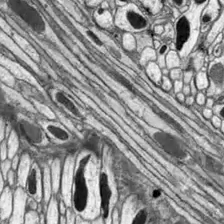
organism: Drosophila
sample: Optic lobe